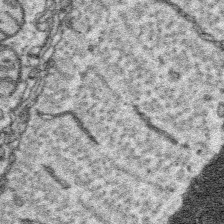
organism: Platynereis dumerilii